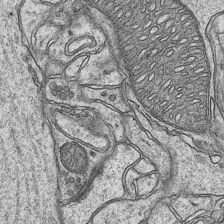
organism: Mouse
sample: CA1 Hippocampus